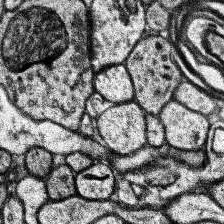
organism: Human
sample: Temporal Lobe